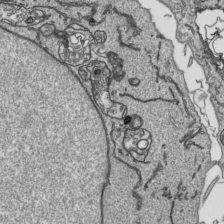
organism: Human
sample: Mitochondria in HCT116 cells